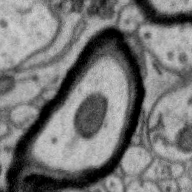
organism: Zebra finch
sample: Brain